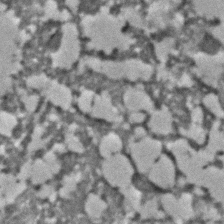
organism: C. elegans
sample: C. elegans embryo